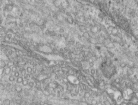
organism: Human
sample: Centriole in RPE cells